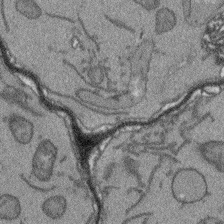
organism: Arabidopsis thaliana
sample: Root tip